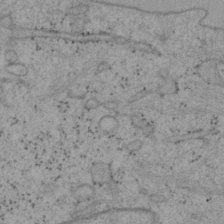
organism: Human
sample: HeLa cells